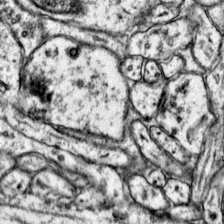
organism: Mouse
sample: Primary visual cortex